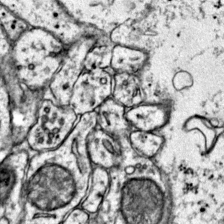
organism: Mouse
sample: Primary visual cortex